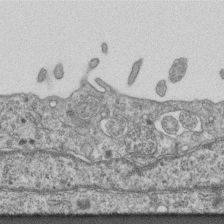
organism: Mouse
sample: Centriole in ependymal cells